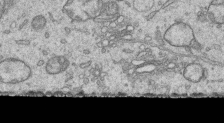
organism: Human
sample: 1205lu cells